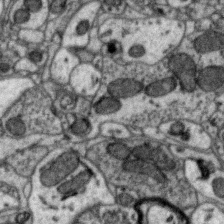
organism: Zebra finch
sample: Brain